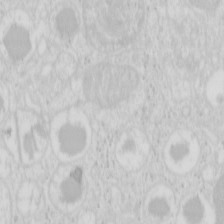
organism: Mouse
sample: Pancreas